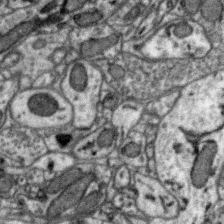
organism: Zebra finch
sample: Brain